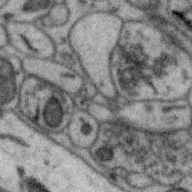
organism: Zebra finch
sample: Brain